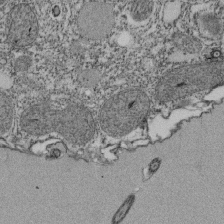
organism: Tetrahymena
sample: Cilia in tetrahymena